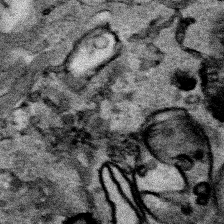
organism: Human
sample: Mitochondria in HCT116 cells